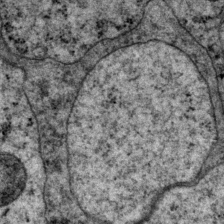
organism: P. pacificus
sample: Pharynx